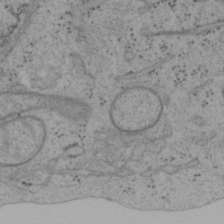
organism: Human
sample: HeLa cells